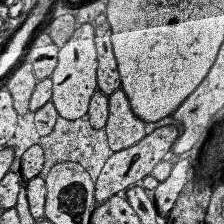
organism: Human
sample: Temporal Lobe